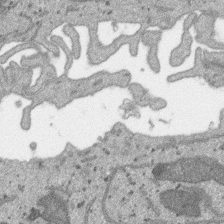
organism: Human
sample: Lung epithelial cells infected with SARS-CoV-2